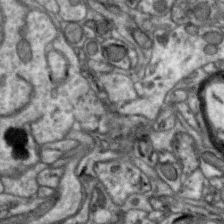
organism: Zebra finch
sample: Brain